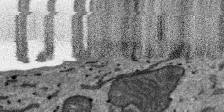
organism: Human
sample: Lung epithelial cells, uninfected (mock) control